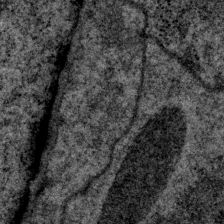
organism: P. pacificus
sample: Pharynx